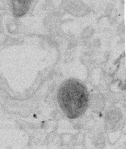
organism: Mouse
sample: T cell stromal cell synapse